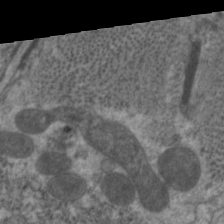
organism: C. elegans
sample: Pharynx